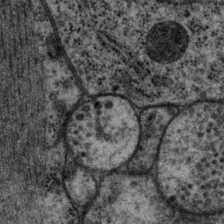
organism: P. pacificus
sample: Pharynx